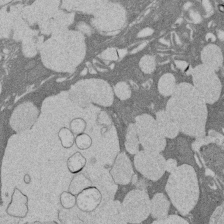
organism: Rat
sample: Salivary granule